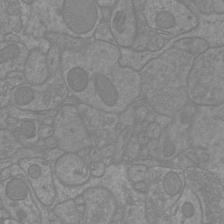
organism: Mouse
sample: Cortical neurons